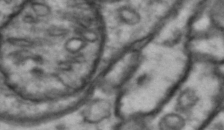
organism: Drosophila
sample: Brain